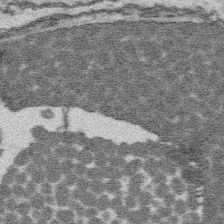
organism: Platynereis dumerilii